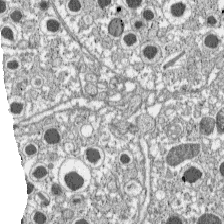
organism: C57BL Mouse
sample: Pancreatic islet